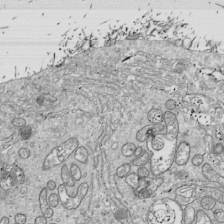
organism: Drosophila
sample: Cell division; meiosis; drosophila spermatocytes